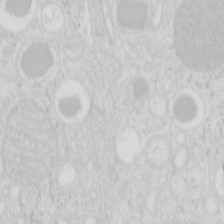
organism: Mouse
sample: Pancreas